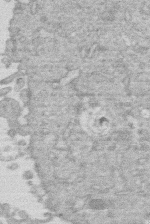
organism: Human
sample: Macrophage cells